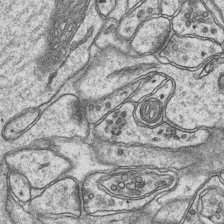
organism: Mouse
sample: CA1 Hippocampus